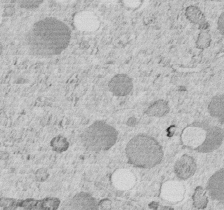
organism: C. elegans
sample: C. elegans embryo early stage